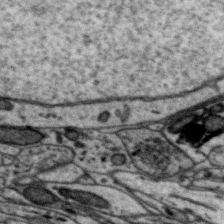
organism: Zebra finch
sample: Brain